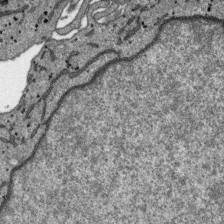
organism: Human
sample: Lung epithelial cells, uninfected (mock) control